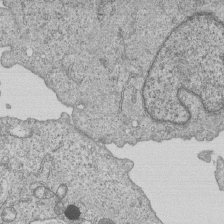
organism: Human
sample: MDA-MB-231 cells